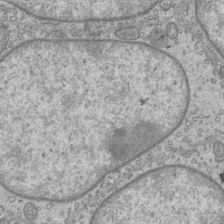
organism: Mouse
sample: Cilia; mouse epididymis